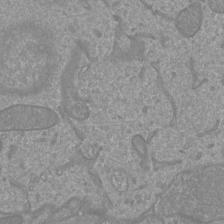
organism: Mouse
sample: Cortical neurons